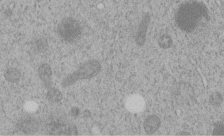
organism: C. elegans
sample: C. elegans embryo early stage